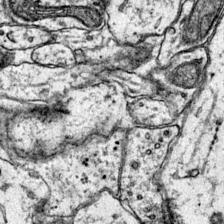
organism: Mouse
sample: Primary visual cortex